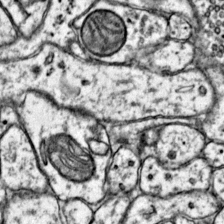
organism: Mouse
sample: Primary visual cortex